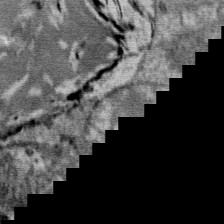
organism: Mouse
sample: Mouse Salivary gland